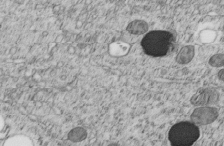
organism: C. elegans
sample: C. elegans embryo early stage